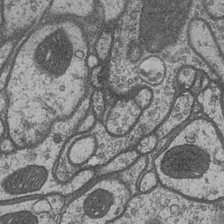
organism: Drosophila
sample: Optic medulla